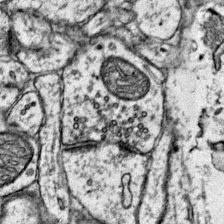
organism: Mouse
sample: Primary visual cortex